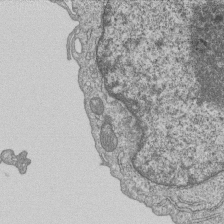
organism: Human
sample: MDA-MB-231 cells